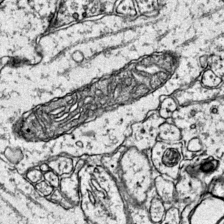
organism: Mouse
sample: Primary visual cortex